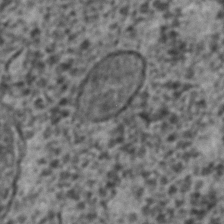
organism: C. elegans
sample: C. elegans embryo